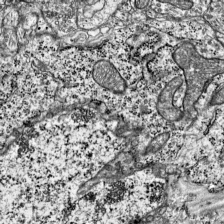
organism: Mouse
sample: Visual Cortex